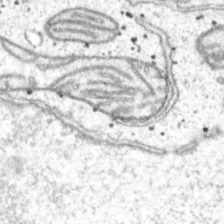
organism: Human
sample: HeLa cells